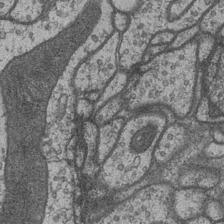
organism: Drosophila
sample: Optic medulla